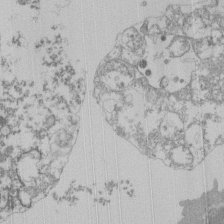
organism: Mouse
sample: Activated Pmel transgenic CD8+ T Cells